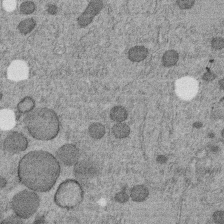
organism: C. elegans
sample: C. elegans embryo early stage